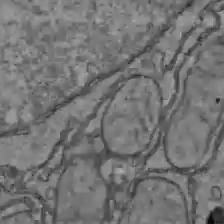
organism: C57BL Mouse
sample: Liver